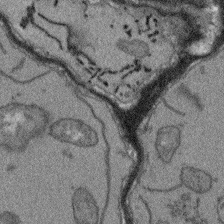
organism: Arabidopsis thaliana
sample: Root tip